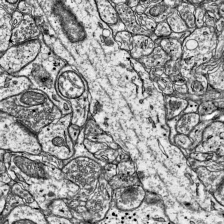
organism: Mouse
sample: Visual Cortex